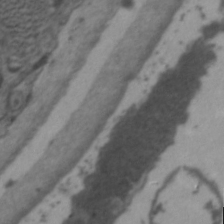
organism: C. elegans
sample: Pharynx